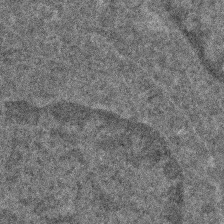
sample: Trachea